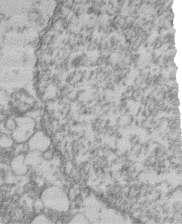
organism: Mouse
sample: T cell stromal cell synapse